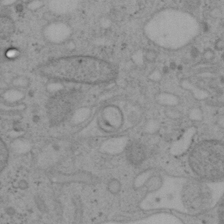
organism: Mouse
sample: OT-I killer T cells with ID8 ovarian cancer cells